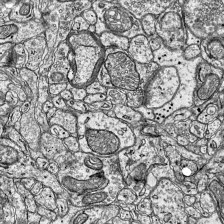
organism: Mouse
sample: Visual Cortex